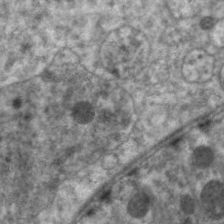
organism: C. elegans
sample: Pharynx